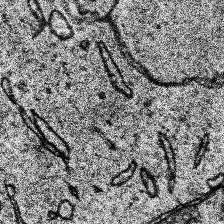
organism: Human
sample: Temporal Lobe